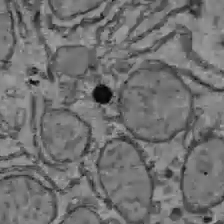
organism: C57BL Mouse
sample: Liver